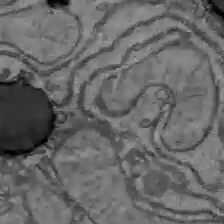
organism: C57BL Mouse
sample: Liver